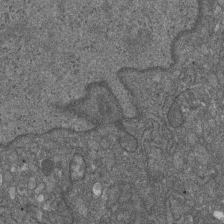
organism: Drosophila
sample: Nephrocyte